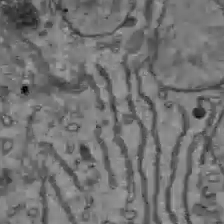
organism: C57BL Mouse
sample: Liver